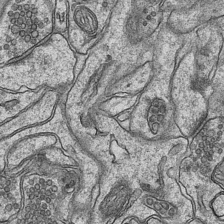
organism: Mouse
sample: CA1 Hippocampus